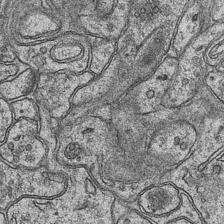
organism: Mouse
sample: CA1 Hippocampus